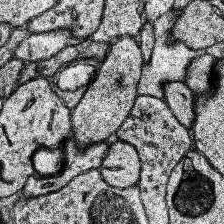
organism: Human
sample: Temporal Lobe